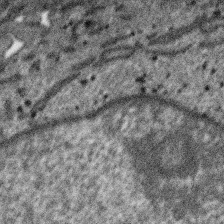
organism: Human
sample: Lung epithelial cells infected with SARS-CoV-2